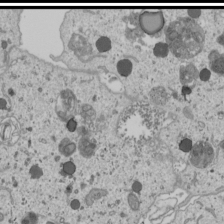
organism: Human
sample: Mitochondria in U2OS cells